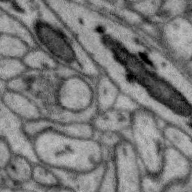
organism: Zebra finch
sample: Brain